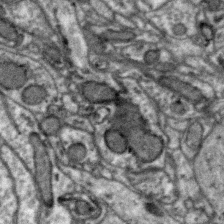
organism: Zebra finch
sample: Brain